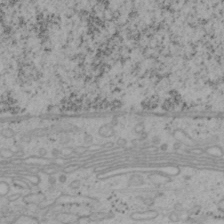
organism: Human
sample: HeLa cells